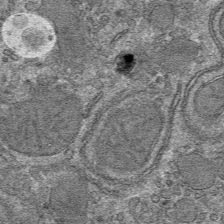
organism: Mouse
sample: Mouse hepatocytes